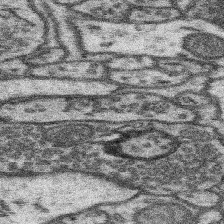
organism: Mouse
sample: Somatosensory cortex neuropil